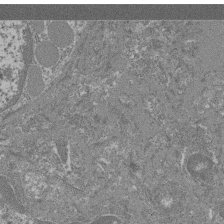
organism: Mouse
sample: Glomerulus